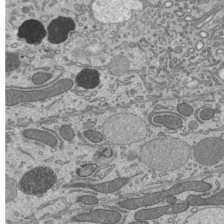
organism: Mouse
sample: Mouse epididymis efferent ductule cilia